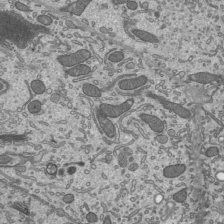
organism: Mouse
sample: Mouse epididymis efferent ductule cilia